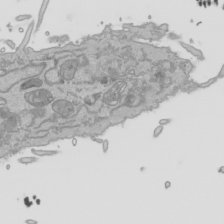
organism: Human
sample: Mitochondria in HCT116 cells